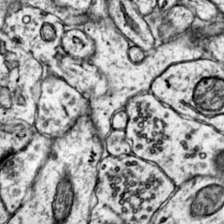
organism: Mouse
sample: Primary visual cortex